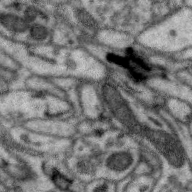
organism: Zebra finch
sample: Brain